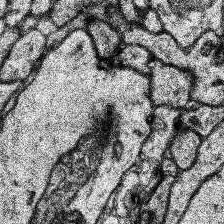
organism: Human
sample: Temporal Lobe